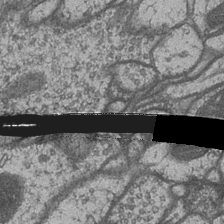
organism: Drosophila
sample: Optic medulla